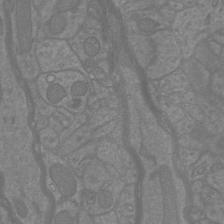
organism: Mouse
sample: Cortical neurons